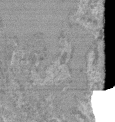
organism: Mouse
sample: Glomerulus